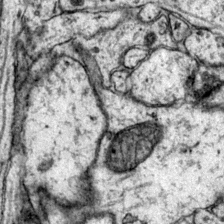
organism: Mouse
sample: Primary visual cortex